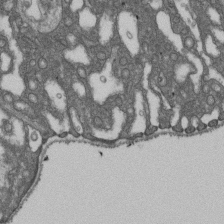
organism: Drosophila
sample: Nephrocyte